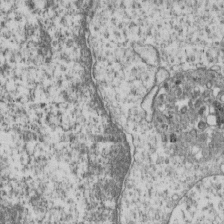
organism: Human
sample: MDA-MB-231 cells